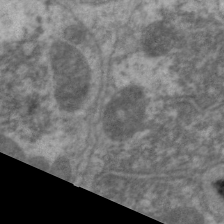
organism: C. elegans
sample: Pharynx